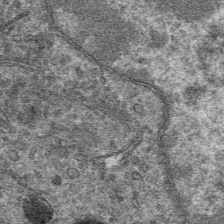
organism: Mouse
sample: Mouse hepatocytes